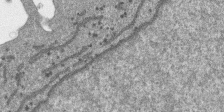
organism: Human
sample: Lung epithelial cells infected with SARS-CoV-2